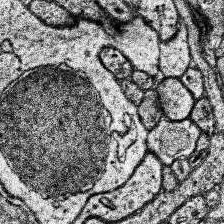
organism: Human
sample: Temporal Lobe